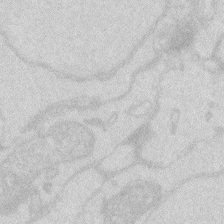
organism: Zebrafish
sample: Macrophage